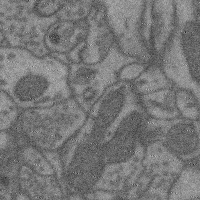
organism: Mouse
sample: Cerebral cortex